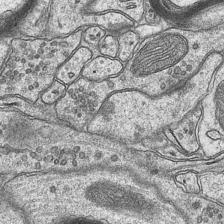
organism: Mouse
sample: CA1 Hippocampus